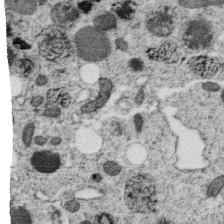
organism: C. elegans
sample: C. elegans oocyte; sperm cells